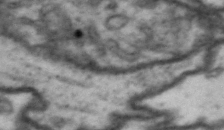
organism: Drosophila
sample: Brain